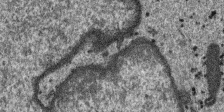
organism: Human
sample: Lung epithelial cells infected with SARS-CoV-2